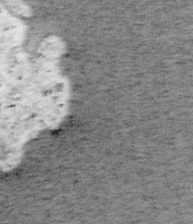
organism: Mouse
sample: OT-I killer T cells with ID8 ovarian cancer cells